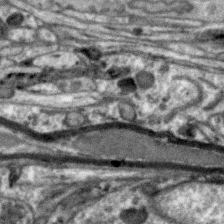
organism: Zebra finch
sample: Brain